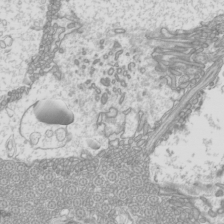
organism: Mouse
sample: Cilia; mouse epididymis